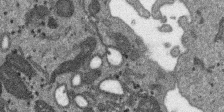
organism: Human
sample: Lung epithelial cells infected with SARS-CoV-2